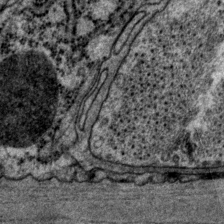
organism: P. pacificus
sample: Pharynx